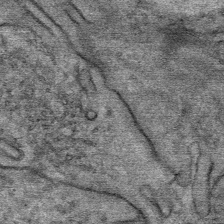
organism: Mouse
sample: Mouse Salivary gland